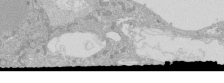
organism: Human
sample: Caco-2 cells